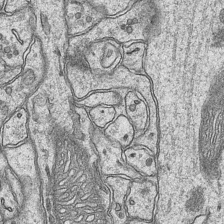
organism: Mouse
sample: CA1 Hippocampus